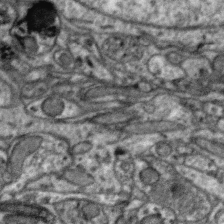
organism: Zebra finch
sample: Brain